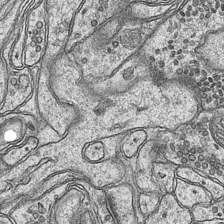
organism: Mouse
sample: CA1 Hippocampus